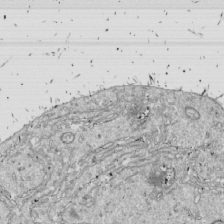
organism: Drosophila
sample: Cell division; meiosis; drosophila spermatocytes